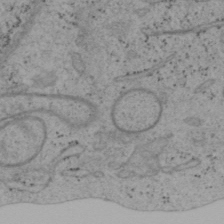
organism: Human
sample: HeLa cells